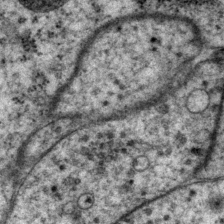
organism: P. pacificus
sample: Pharynx